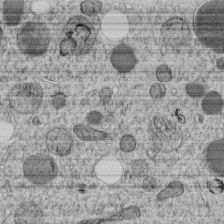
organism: C. elegans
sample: C. elegans embryo early stage